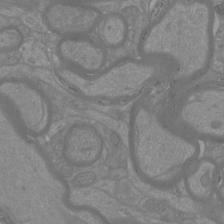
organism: Mouse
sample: Cortical neurons